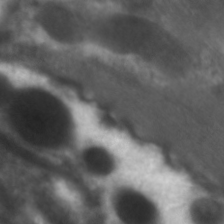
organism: C. elegans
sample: Pharynx